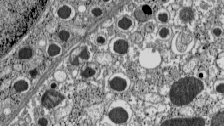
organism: C57BL Mouse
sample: Pancreatic islet